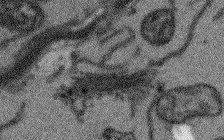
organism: Arabidopsis thaliana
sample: Root tip